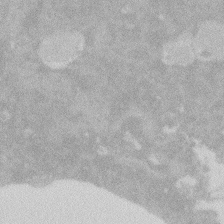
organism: Zebrafish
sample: Macrophage